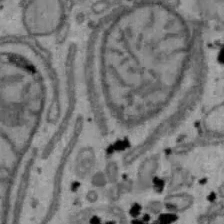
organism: Mouse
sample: Liver